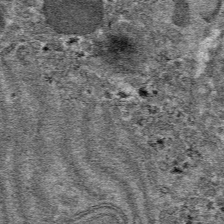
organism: Mouse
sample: Mouse hepatocytes